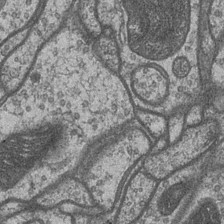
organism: Drosophila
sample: Optic medulla